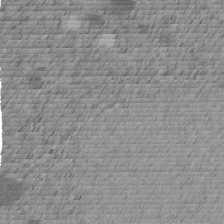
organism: C. elegans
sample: C. elegans embryo early stage